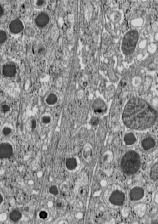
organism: C57BL Mouse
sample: Pancreatic islet